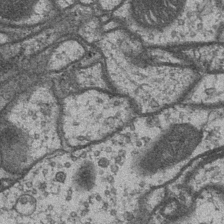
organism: Drosophila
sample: Optic medulla